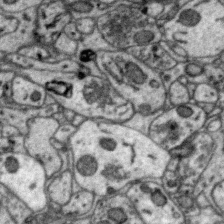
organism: Zebra finch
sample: Brain